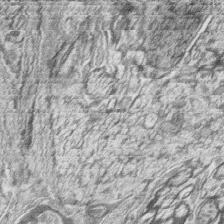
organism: Zebrafish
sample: synaptic ribbons in rod cells and cone cells